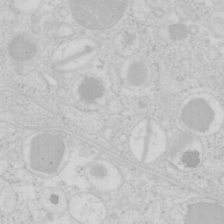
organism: Mouse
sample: Pancreas